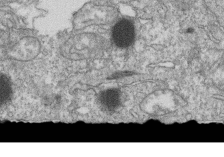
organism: Human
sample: HeLa cell HIV synapse